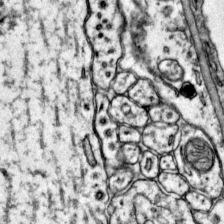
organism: Mouse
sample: Primary visual cortex